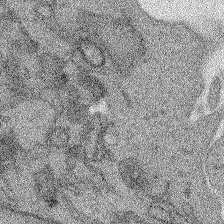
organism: Human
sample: HeLa cells